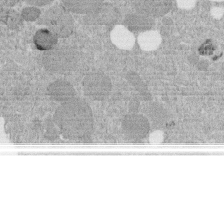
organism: C. elegans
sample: C. elegans embryo early stage